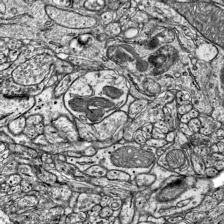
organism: Mouse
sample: Visual Cortex